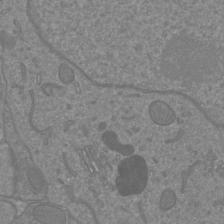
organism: Mouse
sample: Cortical neurons